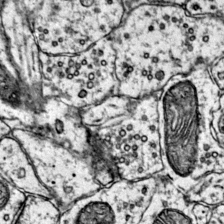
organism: Mouse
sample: Primary visual cortex